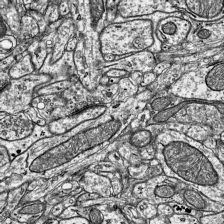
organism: Mouse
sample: Visual Cortex